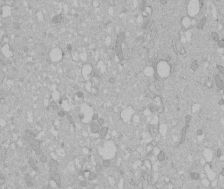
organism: Human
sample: Melanocyte Keratinocyte synapse skin construct